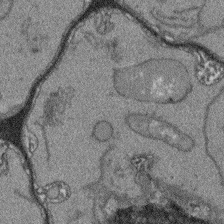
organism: Arabidopsis thaliana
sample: Root tip